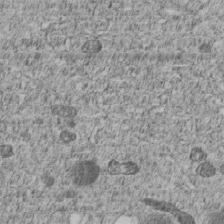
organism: C. elegans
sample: C. elegans embryo early stage